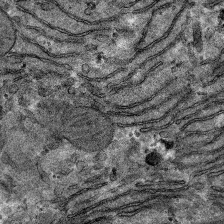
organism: Mouse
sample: Mouse hepatocytes